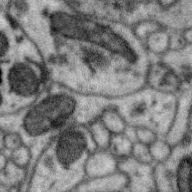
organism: Zebra finch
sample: Brain